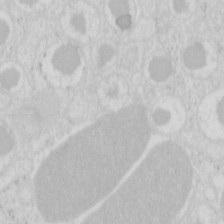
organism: Mouse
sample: Pancreas